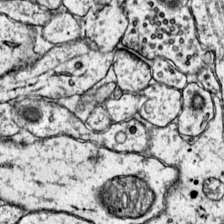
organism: Mouse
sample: Primary visual cortex